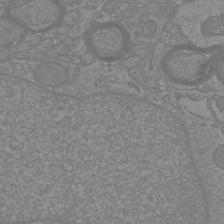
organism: Mouse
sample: Cortical neurons